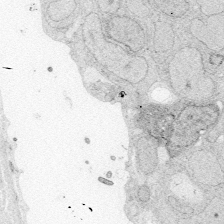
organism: Zebrafish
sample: Whole-Brain